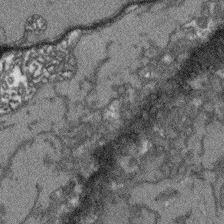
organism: Arabidopsis thaliana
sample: Root tip